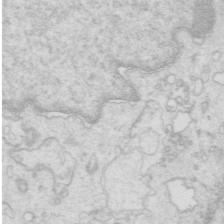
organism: Mouse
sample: Multiciliated cells